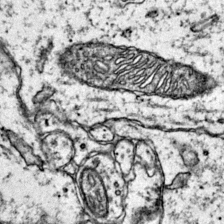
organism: Mouse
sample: Primary visual cortex